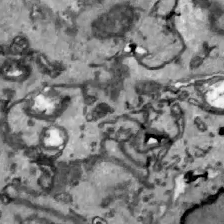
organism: Zebrafish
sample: Actinotrichia fibers